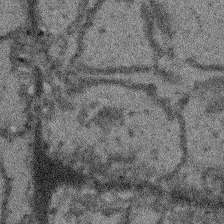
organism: Arabidopsis thaliana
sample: Root tip